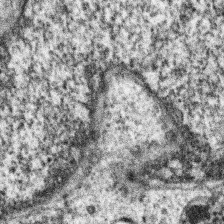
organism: Human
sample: HeLa cells